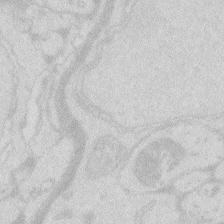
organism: Zebrafish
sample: Macrophage